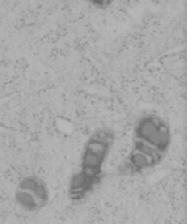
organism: Mouse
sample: OT-I killer T cells with ID8 ovarian cancer cells